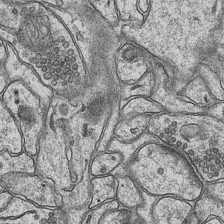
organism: Mouse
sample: CA1 Hippocampus